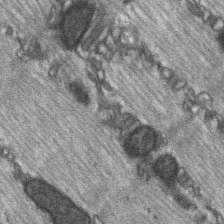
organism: C57BL Mouse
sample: Soleus